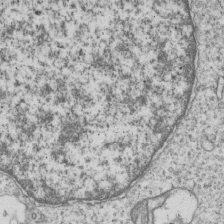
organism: Human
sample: MDA-MB-231 cells